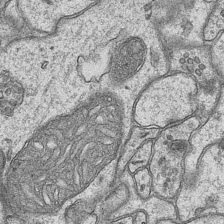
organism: Mouse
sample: CA1 Hippocampus